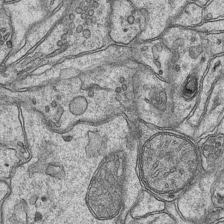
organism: Mouse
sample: CA1 Hippocampus